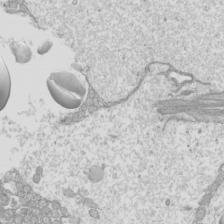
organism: Mouse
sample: Cilia; mouse epididymis